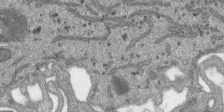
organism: Human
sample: Lung epithelial cells infected with SARS-CoV-2